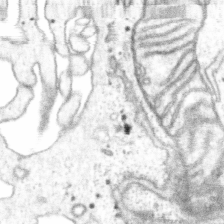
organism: Human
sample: HeLa cells